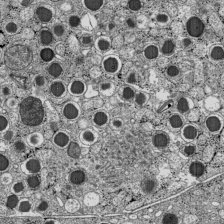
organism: C57BL Mouse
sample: Pancreatic islet